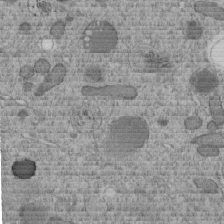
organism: C. elegans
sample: C. elegans embryo early stage